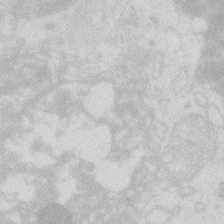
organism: Zebrafish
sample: Macrophage